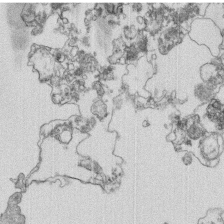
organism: Human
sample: HeLa cell HIV synapse